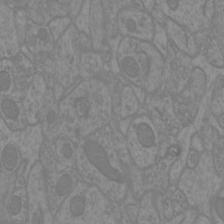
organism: Mouse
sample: Cortical neurons